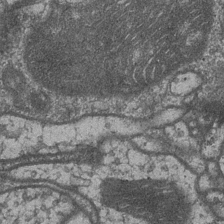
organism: Drosophila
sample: Optic medulla